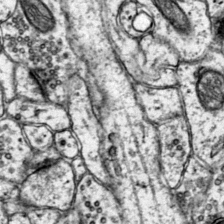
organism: Mouse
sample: Primary visual cortex